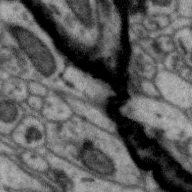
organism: Zebra finch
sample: Brain